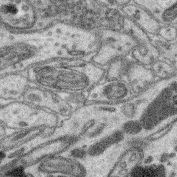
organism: Mouse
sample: Retina